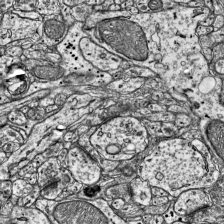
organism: Mouse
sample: Visual Cortex